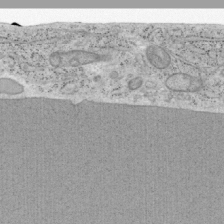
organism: Human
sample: HeLa cells